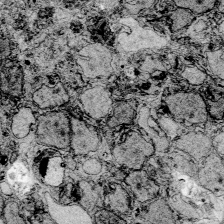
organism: Zebrafish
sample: Whole-Brain